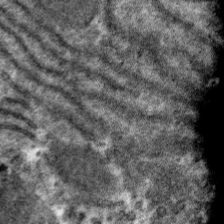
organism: Mouse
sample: Mouse hepatocytes